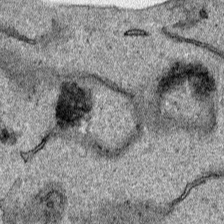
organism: Human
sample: Mitochondria in HCT116 cells